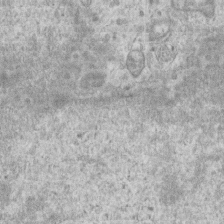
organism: Mouse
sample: Centriole in ependymal cells